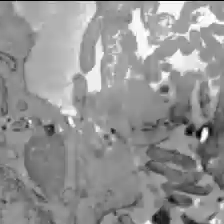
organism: C57BL Mouse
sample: Liver